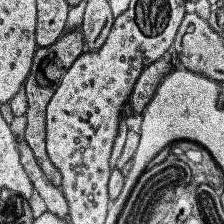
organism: Human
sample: Temporal Lobe